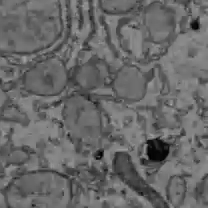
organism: C57BL Mouse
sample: Liver